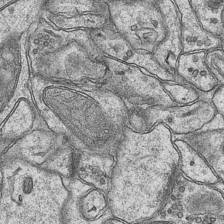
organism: Mouse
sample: CA1 Hippocampus